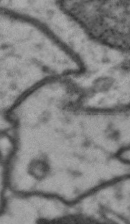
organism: Drosophila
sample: Brain